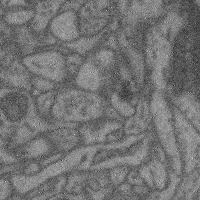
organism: Mouse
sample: Cerebral cortex